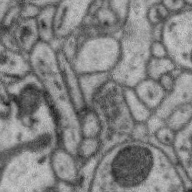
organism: Zebra finch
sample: Brain